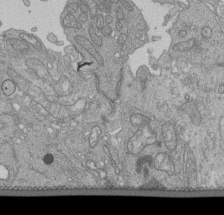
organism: Human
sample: Retinal organoid Rod and Cone cells